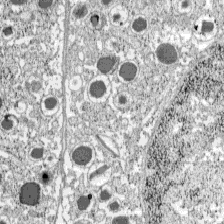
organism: C57BL Mouse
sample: Pancreatic islet